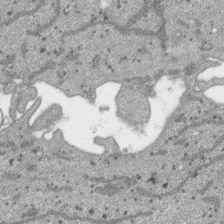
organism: Human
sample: Lung epithelial cells infected with SARS-CoV-2